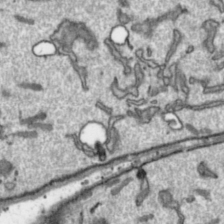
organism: Toxoplasma gondii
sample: Parasites in a vacuole inside a host cell